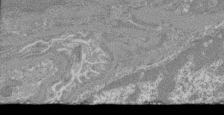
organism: Mouse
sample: Glomerulus